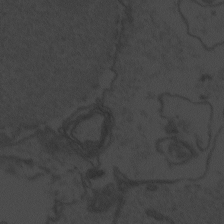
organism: Zebrafish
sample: Macrophage infected with Toxoplasma gondii